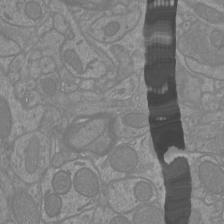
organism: Mouse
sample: Cortical neurons